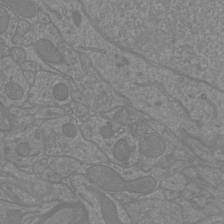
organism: Mouse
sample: Cortical neurons